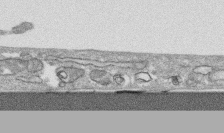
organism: Human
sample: CRL-1474